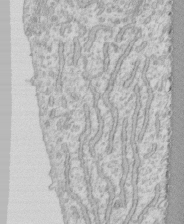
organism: Human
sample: CRL-1474